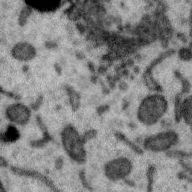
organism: Zebra finch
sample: Brain